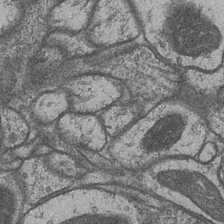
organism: Drosophila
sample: Optic medulla